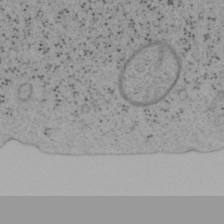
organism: Human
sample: HeLa cells